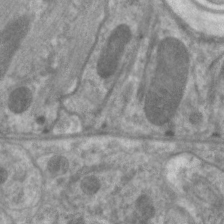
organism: C. elegans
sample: Pharynx